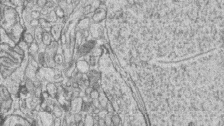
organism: Zebrafish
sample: synaptic ribbons in rod cells and cone cells